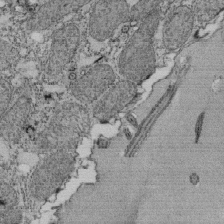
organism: Tetrahymena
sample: Cilia in tetrahymena